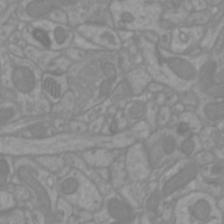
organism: Mouse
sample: Cortical neurons